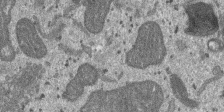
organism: Human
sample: Lung epithelial cells infected with SARS-CoV-2